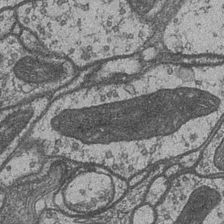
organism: Drosophila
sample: Optic medulla